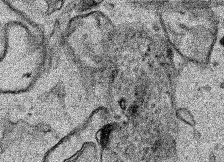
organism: Human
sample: Mitochondria in HCT116 cells